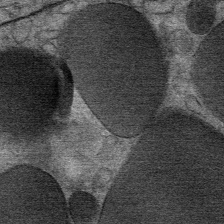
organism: Mouse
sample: Mouse Salivary gland